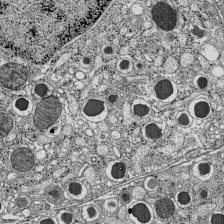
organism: C57BL Mouse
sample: Pancreatic islet